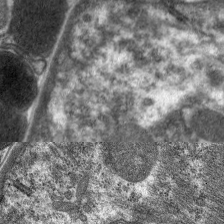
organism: C. elegans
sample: Pharynx